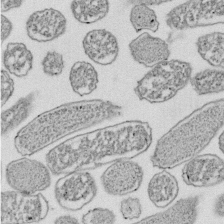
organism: E. coli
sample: Bacterial nucleoid